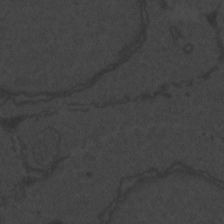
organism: Zebrafish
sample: Macrophage infected with Toxoplasma gondii